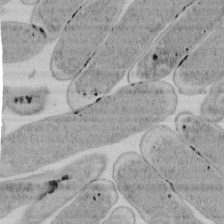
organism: E. coli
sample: Bacterial nucleoid